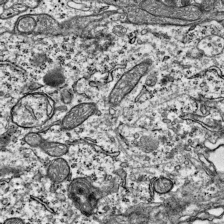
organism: Mouse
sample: Visual Cortex